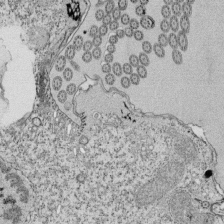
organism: Tetrahymena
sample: Cilia in tetrahymena